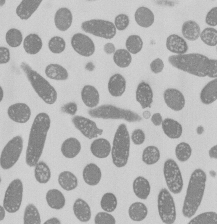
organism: E. coli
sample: Bacterial nucleoid